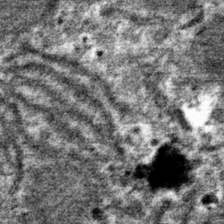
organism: Mouse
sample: Mouse hepatocytes